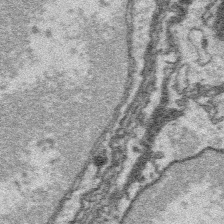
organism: Platynereis dumerilii